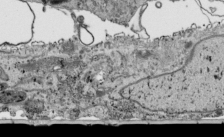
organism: Human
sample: Mitochondria in HCT116 cells